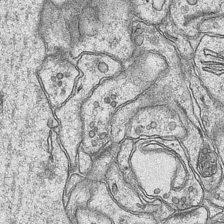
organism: Mouse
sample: CA1 Hippocampus